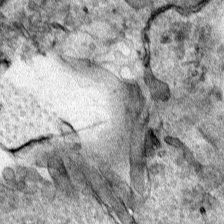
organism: Human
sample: Mitochondria in HCT116 cells